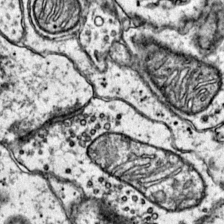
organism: Mouse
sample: Primary visual cortex